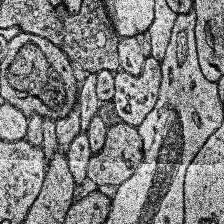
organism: Human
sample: Temporal Lobe